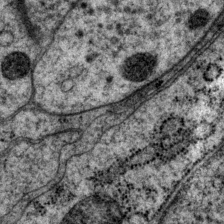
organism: P. pacificus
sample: Pharynx